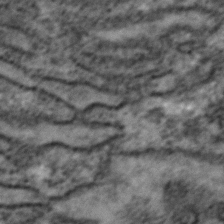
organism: Zebrafish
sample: Zebrafish embryo